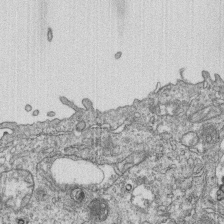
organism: Human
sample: HeLa cell HIV synapse